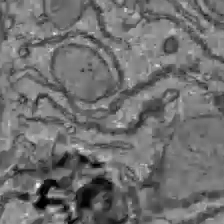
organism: C57BL Mouse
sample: Liver